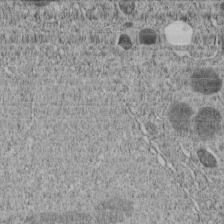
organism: C. elegans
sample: C. elegans embryo early stage